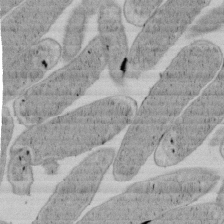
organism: E. coli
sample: Bacterial nucleoid